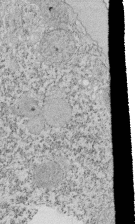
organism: Tetrahymena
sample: Cilia in tetrahymena